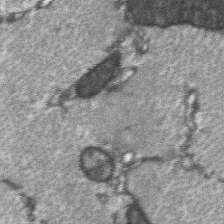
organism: C57BL Mouse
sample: Soleus